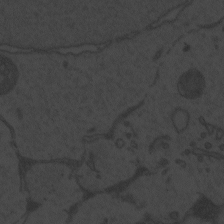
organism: Zebrafish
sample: Macrophage infected with Toxoplasma gondii